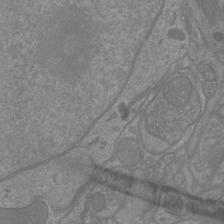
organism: Mouse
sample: Cortical neurons